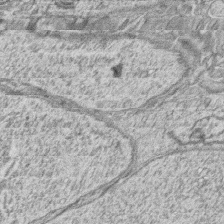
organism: Zebrafish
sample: synaptic ribbons in rod cells and cone cells